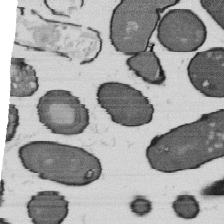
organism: B. subtilis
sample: Bacterial spore